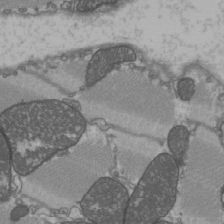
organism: C57BL Mouse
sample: Heart